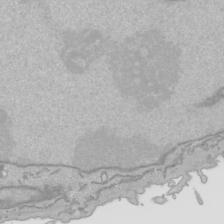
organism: Human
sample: Mitochondria in HCT116 cells